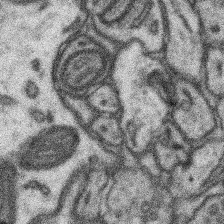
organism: Mouse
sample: Somatosensory cortex neuropil